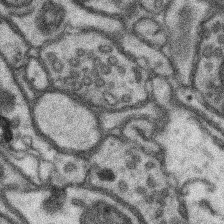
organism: Mouse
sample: Somatosensory cortex neuropil